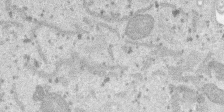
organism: Human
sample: Lung epithelial cells infected with SARS-CoV-2